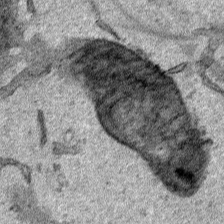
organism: Human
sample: Mitochondria in HCT116 cells